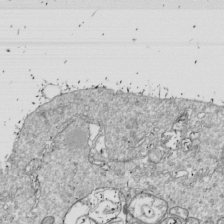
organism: Drosophila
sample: Cell division; meiosis; drosophila spermatocytes